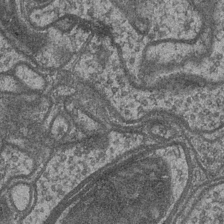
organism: Drosophila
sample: Optic medulla